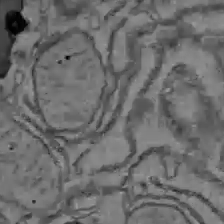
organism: C57BL Mouse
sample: Liver